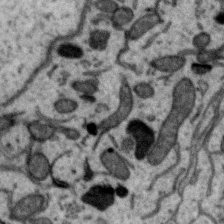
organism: Zebra finch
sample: Brain